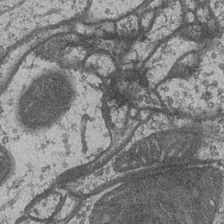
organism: Drosophila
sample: Optic medulla